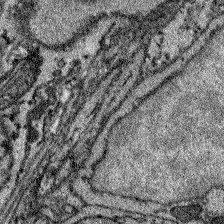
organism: Zebrafish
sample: Larval olfactory bulb